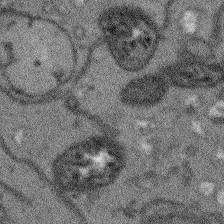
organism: Arabidopsis thaliana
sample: Root tip